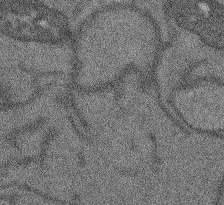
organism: Arabidopsis thaliana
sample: Root tip